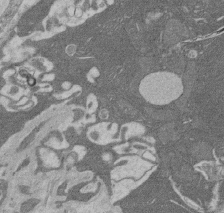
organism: Rat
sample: Salivary granule